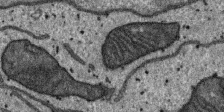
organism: Human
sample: Lung epithelial cells, uninfected (mock) control